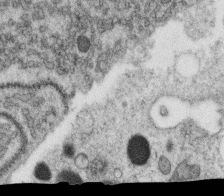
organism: C. elegans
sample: C. elegans oocyte; sperm cells